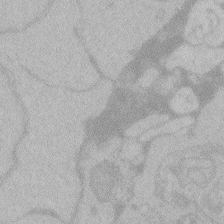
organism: Zebrafish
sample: Macrophage infected with Toxoplasma gondii